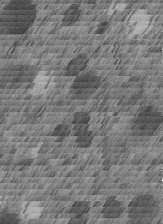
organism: C. elegans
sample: C. elegans embryo early stage